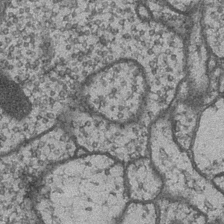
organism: Drosophila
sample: Optic medulla